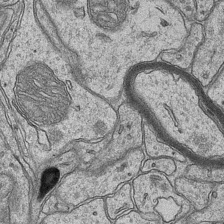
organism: Mouse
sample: CA1 Hippocampus